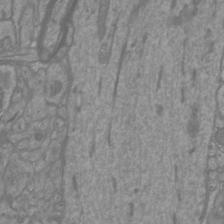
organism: Mouse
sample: Cortical neurons